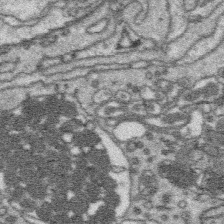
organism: Platynereis dumerilii